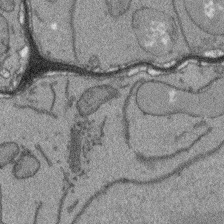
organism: Arabidopsis thaliana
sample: Root tip